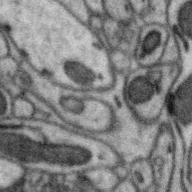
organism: Zebra finch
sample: Brain